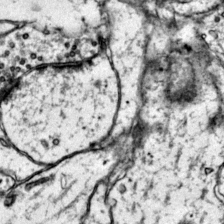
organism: Mouse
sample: Primary visual cortex